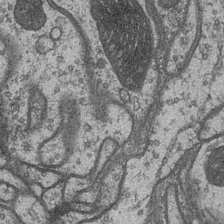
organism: Drosophila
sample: Optic medulla